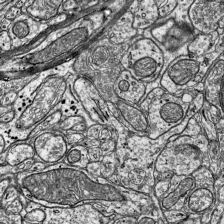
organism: Mouse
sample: Visual Cortex